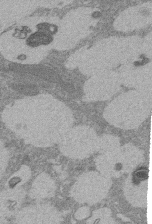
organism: Rat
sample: Salivary granule